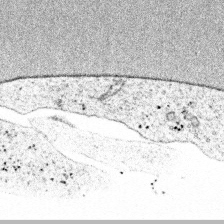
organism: Human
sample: HeLa cells